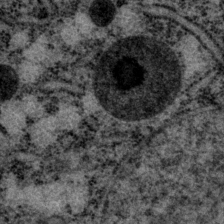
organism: P. pacificus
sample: Pharynx